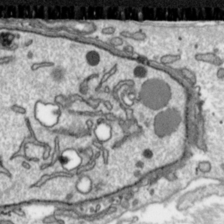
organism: Toxoplasma gondii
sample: Parasites in a vacuole inside a host cell